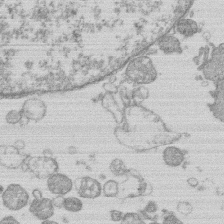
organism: Human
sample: Macrophage cells